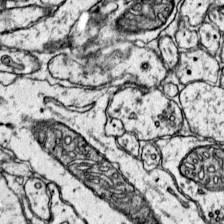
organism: Mouse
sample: Primary visual cortex